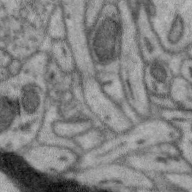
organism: Zebra finch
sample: Brain